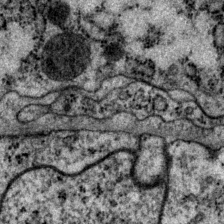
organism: P. pacificus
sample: Pharynx